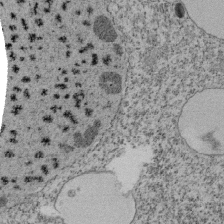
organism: Tetrahymena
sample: Cilia in tetrahymena